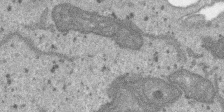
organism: Human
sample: Lung epithelial cells infected with SARS-CoV-2